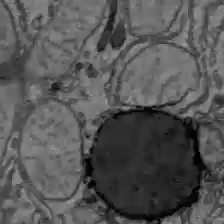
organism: C57BL Mouse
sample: Liver